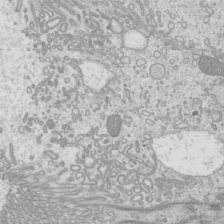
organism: Mouse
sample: Cilia; mouse epididymis